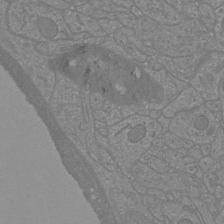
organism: Mouse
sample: Cortical neurons